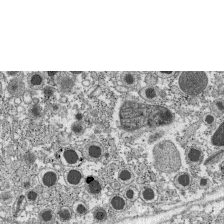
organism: C57BL Mouse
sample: Pancreatic islet